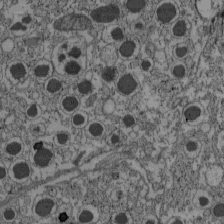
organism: C57BL Mouse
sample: Pancreatic islet